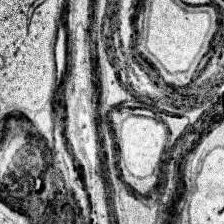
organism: Human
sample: Temporal Lobe